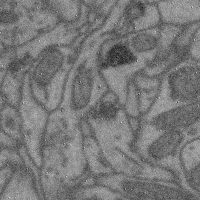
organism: Mouse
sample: Cerebral cortex